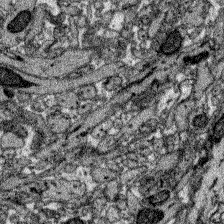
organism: Zebrafish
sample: Larval olfactory bulb